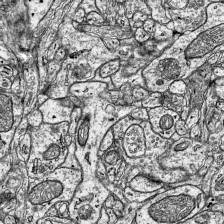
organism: Mouse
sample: Visual Cortex